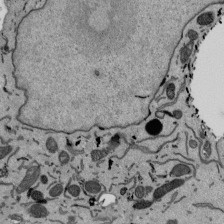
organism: Mouse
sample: ED-1 cell nuclei; centrioles